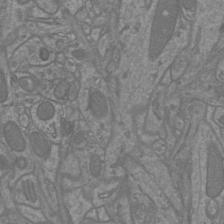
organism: Mouse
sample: Cortical neurons